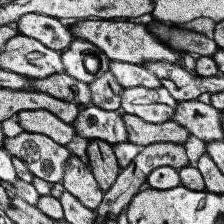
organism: Human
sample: Temporal Lobe